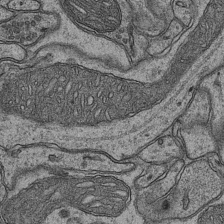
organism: Mouse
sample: CA1 Hippocampus